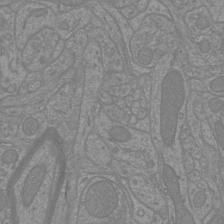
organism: Mouse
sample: Cortical neurons